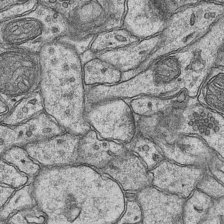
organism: Mouse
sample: CA1 Hippocampus